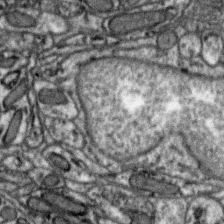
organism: Zebra finch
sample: Brain